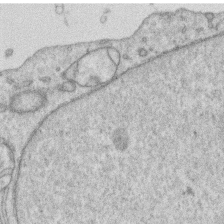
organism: Human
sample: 1205lu cells